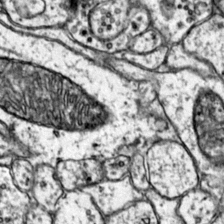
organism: Mouse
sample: Primary visual cortex